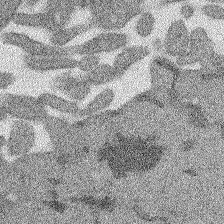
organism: Human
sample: HeLa cells